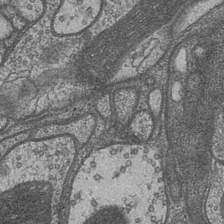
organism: Drosophila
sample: Optic medulla